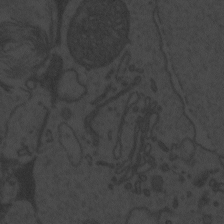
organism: Zebrafish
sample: Macrophage infected with Toxoplasma gondii